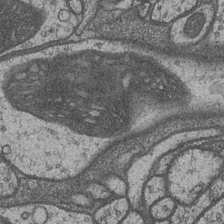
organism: Drosophila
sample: Optic medulla